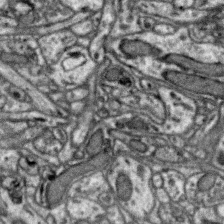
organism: Zebra finch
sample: Brain